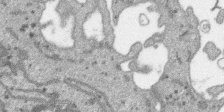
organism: Human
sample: Lung epithelial cells infected with SARS-CoV-2